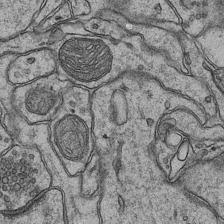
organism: Mouse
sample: CA1 Hippocampus